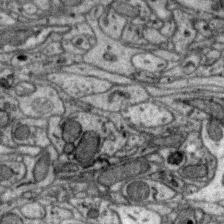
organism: Zebra finch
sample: Brain